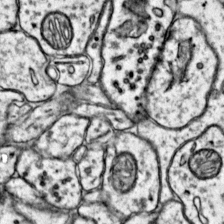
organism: Mouse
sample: Primary visual cortex